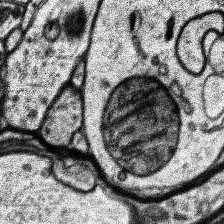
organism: Human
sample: Temporal Lobe